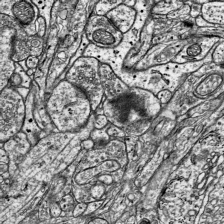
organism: Mouse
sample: Visual Cortex